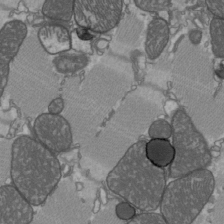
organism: C57BL Mouse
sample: Heart